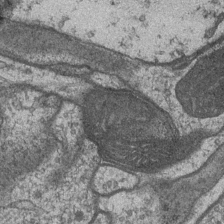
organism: Drosophila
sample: Optic medulla